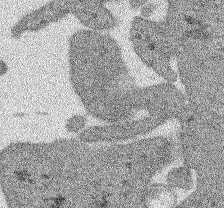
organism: Human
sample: HeLa cells